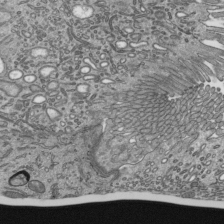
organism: Mouse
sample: Mouse epididymis efferent ductule cilia